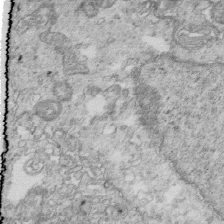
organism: Mouse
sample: Multiciliated cells